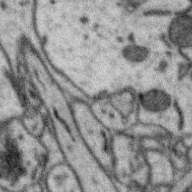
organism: Zebra finch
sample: Brain